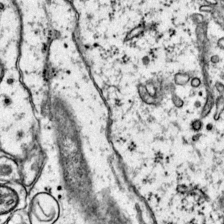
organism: Mouse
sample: Primary visual cortex